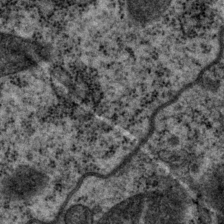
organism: P. pacificus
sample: Pharynx